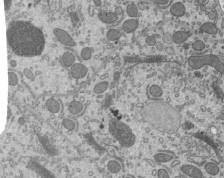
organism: Mouse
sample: Mouse epididymis efferent ductule cilia